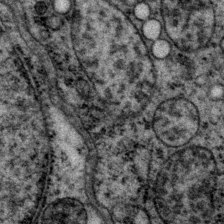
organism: P. pacificus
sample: Pharynx